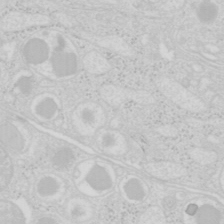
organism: Mouse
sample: Pancreas